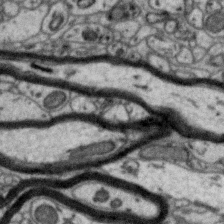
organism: Zebra finch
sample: Brain